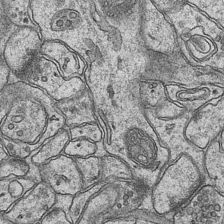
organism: Mouse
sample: CA1 Hippocampus